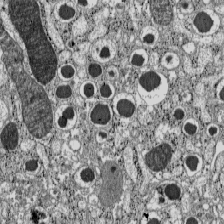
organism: C57BL Mouse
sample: Pancreatic islet